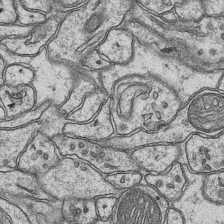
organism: Mouse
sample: CA1 Hippocampus